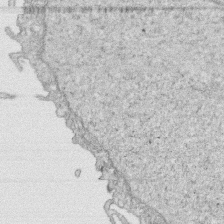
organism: Human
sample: HeLa cell HIV synapse